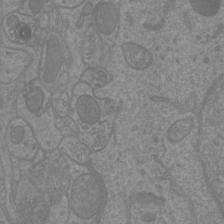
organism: Mouse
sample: Cortical neurons